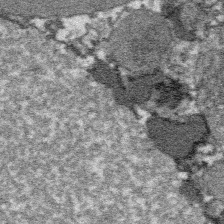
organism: Platynereis dumerilii